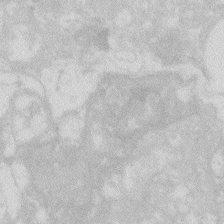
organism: Zebrafish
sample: Macrophage